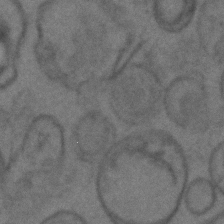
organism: C. elegans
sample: C. elegans embryo